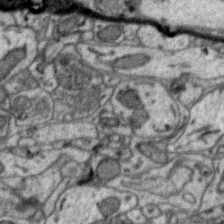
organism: Zebra finch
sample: Brain